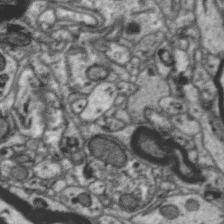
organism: Zebra finch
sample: Brain